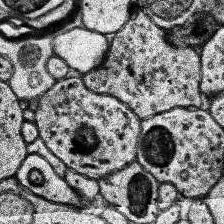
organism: Human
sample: Temporal Lobe